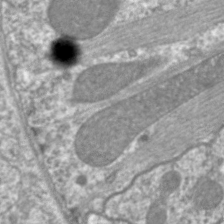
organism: C. elegans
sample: Pharynx